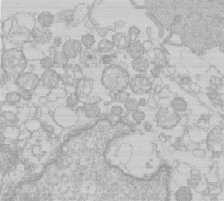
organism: Human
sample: Macrophage cells